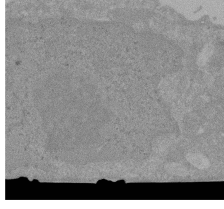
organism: Mouse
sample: ED-1 cell nuclei; centrioles